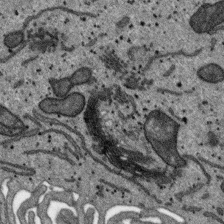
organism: Human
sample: Lung epithelial cells, uninfected (mock) control